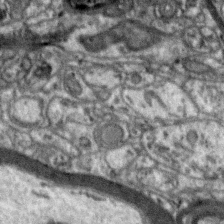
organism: Zebra finch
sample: Brain